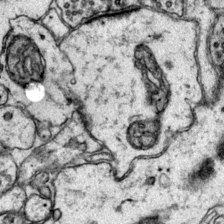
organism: Mouse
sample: Primary visual cortex